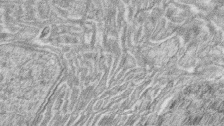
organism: Zebrafish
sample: synaptic ribbons in rod cells and cone cells